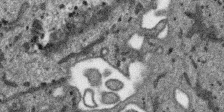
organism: Human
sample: Lung epithelial cells infected with SARS-CoV-2